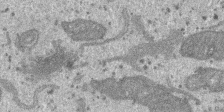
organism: Human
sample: Lung epithelial cells infected with SARS-CoV-2